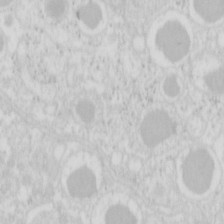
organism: Mouse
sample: Pancreas